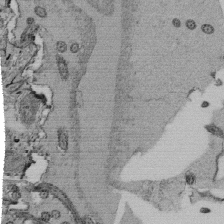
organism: Tetrahymena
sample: Cilia in tetrahymena